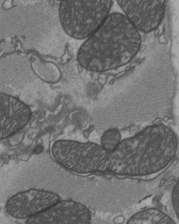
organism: C57BL Mouse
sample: Heart